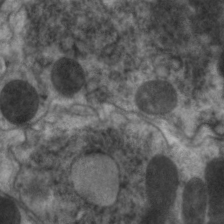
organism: C. elegans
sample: Pharynx